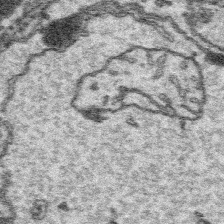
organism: Platynereis dumerilii